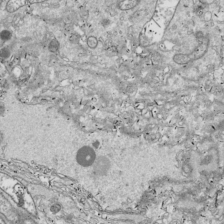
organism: Drosophila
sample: Cell division; meiosis; drosophila spermatocytes